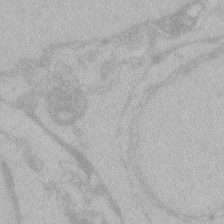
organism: Zebrafish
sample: Macrophage infected with Toxoplasma gondii